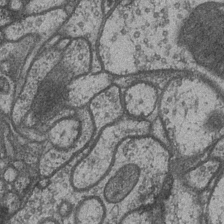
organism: Drosophila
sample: Optic medulla